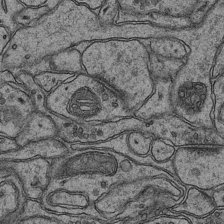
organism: Mouse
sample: CA1 Hippocampus